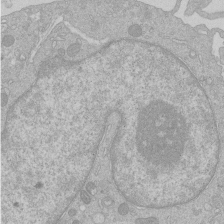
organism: Human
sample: Macrophage cells